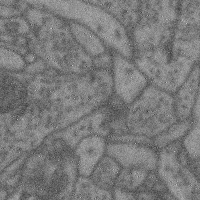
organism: Mouse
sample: Cerebral cortex